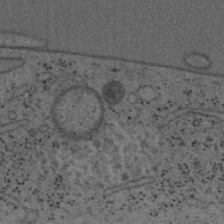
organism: Human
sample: HeLa cells